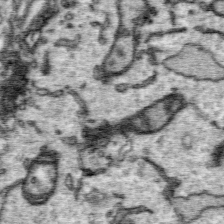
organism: Human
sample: HeLa cells